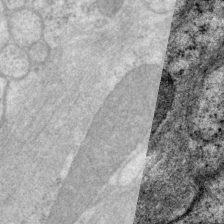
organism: P. pacificus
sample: Pharynx